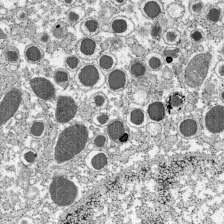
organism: C57BL Mouse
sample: Pancreatic islet